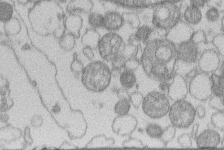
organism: Human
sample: Macrophage cells